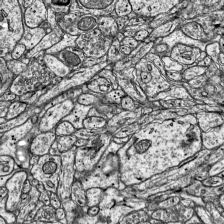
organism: Mouse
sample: Visual Cortex